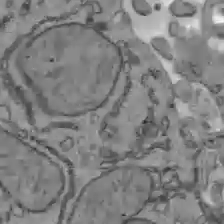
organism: C57BL Mouse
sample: Liver